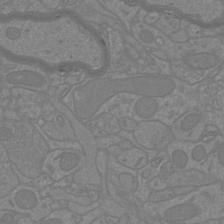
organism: Mouse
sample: Cortical neurons